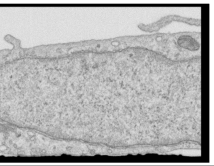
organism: Human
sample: Centriole in RPE cells